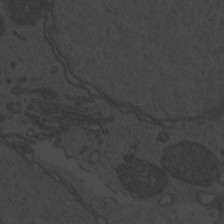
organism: Zebrafish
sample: Macrophage infected with Toxoplasma gondii